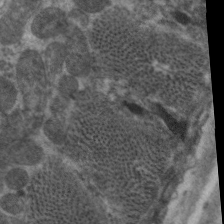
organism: C. elegans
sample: Pharynx